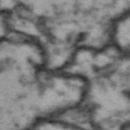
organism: Drosophila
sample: Brain